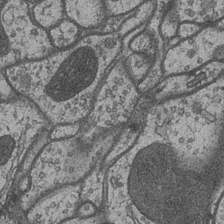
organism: Drosophila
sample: Optic medulla